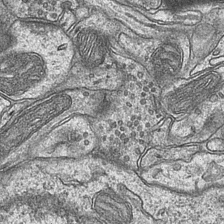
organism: Mouse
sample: CA1 Hippocampus